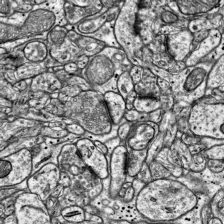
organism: Mouse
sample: Visual Cortex